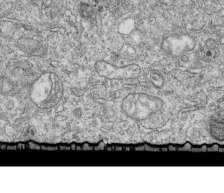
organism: Human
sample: HeLa cell HIV synapse